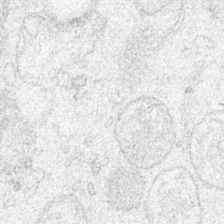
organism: Human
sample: Mitochondria in HCT116 cells